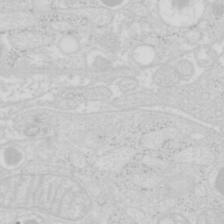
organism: Mouse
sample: Pancreas